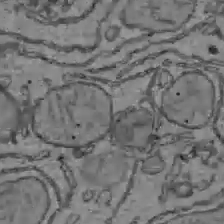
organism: C57BL Mouse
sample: Liver